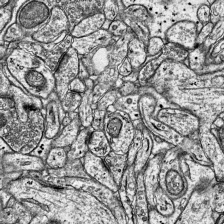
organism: Mouse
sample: Visual Cortex